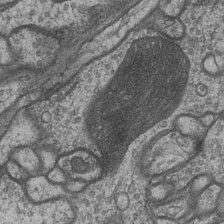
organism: Drosophila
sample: Optic medulla